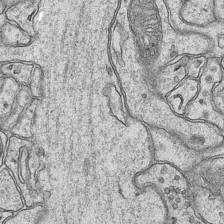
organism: Mouse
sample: CA1 Hippocampus